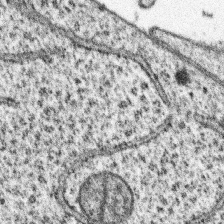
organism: Human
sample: HeLa cells